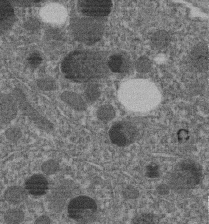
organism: C. elegans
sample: C. elegans embryo early stage